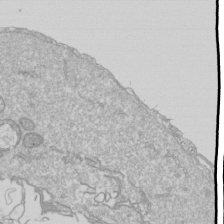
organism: Drosophila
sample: Cell division; meiosis; drosophila spermatocytes